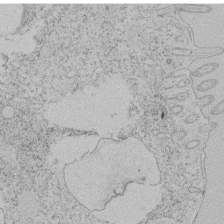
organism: Tetrahymena